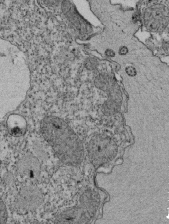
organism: Tetrahymena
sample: Cilia in tetrahymena